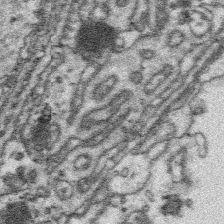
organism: Platynereis dumerilii